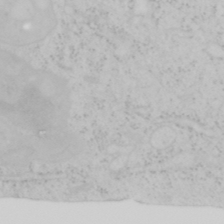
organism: Mouse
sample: OT-I killer T cells with ID8 ovarian cancer cells